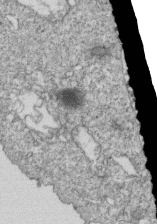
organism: Human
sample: HeLa cell HIV synapse